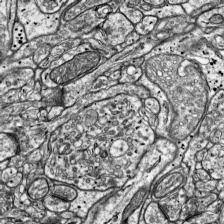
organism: Mouse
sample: Visual Cortex